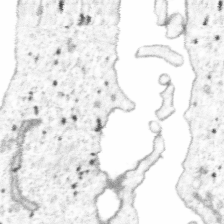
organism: Human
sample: HeLa cells